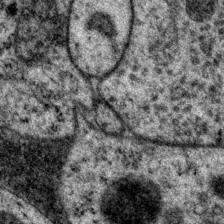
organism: P. pacificus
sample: Pharynx